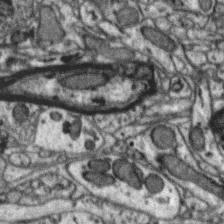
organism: Zebra finch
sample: Brain